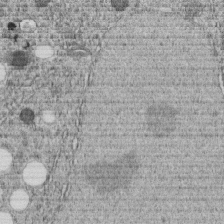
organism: C. elegans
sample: C. elegans embryo early stage